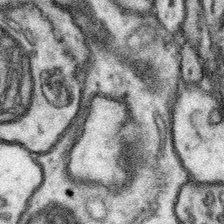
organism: Mouse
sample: Somatosensory cortex neuropil